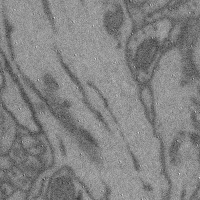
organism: Mouse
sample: Cerebral cortex